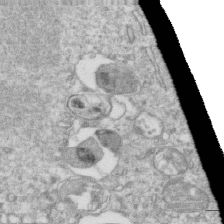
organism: Mouse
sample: Activated OT-1 CD8+ T cells